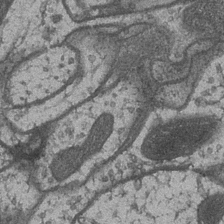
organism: Drosophila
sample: Optic medulla